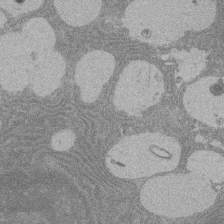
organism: Rat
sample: Salivary granule